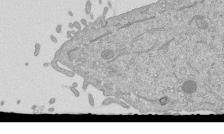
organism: Mouse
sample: ED-1 cell nuclei; centrioles